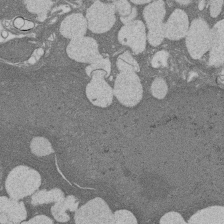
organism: Rat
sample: Salivary granule